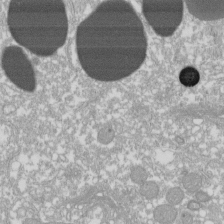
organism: Xenopus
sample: Cilia; centrioles in frog embryo cells